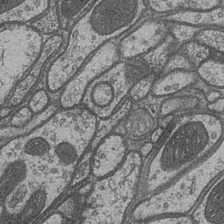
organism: Drosophila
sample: Optic medulla